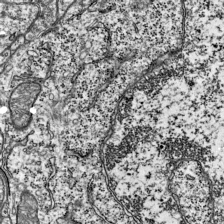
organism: Mouse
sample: Visual Cortex